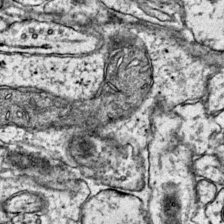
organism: Mouse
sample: Primary visual cortex